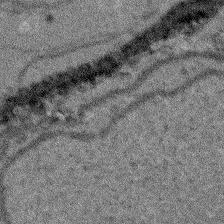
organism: Arabidopsis thaliana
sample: Root tip